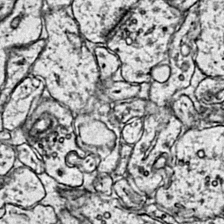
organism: Mouse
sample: Primary visual cortex